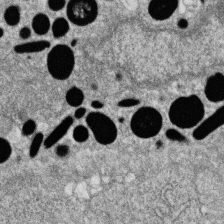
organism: Zebrafish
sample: Cilia; retinal pigment epithelium